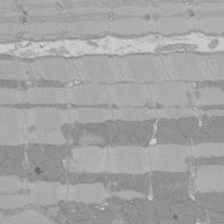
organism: Rat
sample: Left ventricle